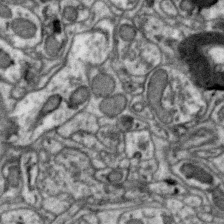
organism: Zebra finch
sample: Brain